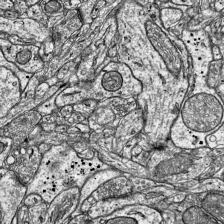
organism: Mouse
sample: Visual Cortex